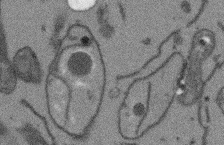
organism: Arabidopsis thaliana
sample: Root tip